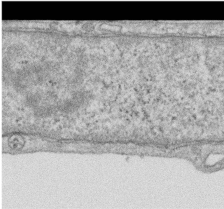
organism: Human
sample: Centriole in RPE cells